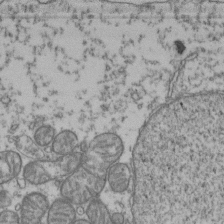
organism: Human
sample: Activated Jurkat CD4+ T cells